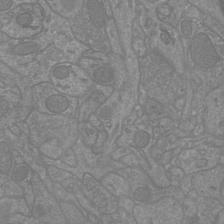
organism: Mouse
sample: Cortical neurons